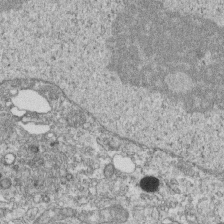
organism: Human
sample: HeLa cell HIV synapse